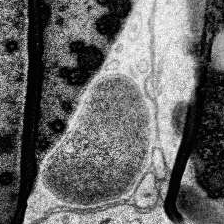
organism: Human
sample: Temporal Lobe